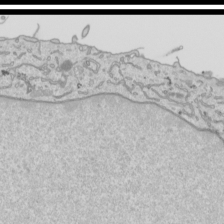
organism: Human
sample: Mitochondria in HCT116 cells